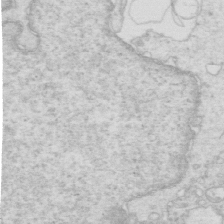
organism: Mouse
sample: Multiciliated cells